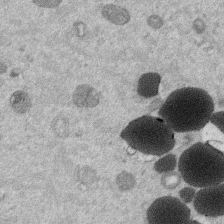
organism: Mouse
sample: Dividing mouse embryo 1 cell stage